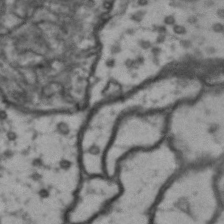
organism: Drosophila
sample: Brain